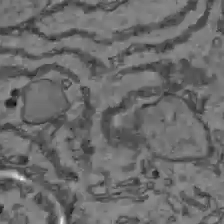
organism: C57BL Mouse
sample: Liver